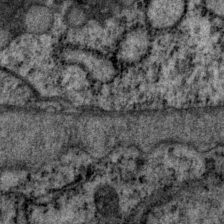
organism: P. pacificus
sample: Pharynx